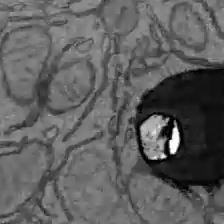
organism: C57BL Mouse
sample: Liver